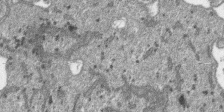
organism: Human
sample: Lung epithelial cells infected with SARS-CoV-2